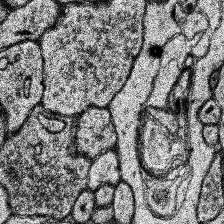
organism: Human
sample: Temporal Lobe